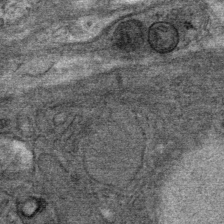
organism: Mouse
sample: Mouse Salivary gland